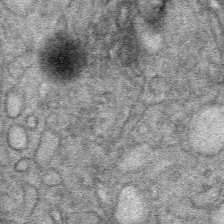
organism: Mouse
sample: Mouse Salivary gland